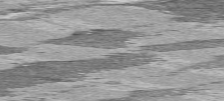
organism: C57BL Mouse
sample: Heart